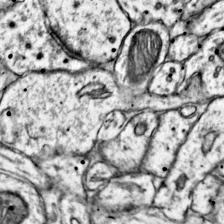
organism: Mouse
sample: Primary visual cortex